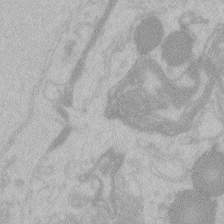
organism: Zebrafish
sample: Macrophage infected with Toxoplasma gondii